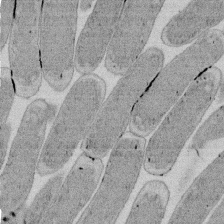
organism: E. coli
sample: Bacterial nucleoid